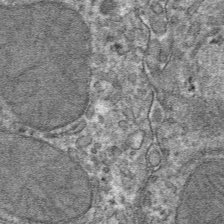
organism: Mouse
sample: Mouse hepatocytes